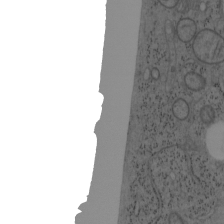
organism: Mouse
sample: OT-I killer T cells with ID8 ovarian cancer cells